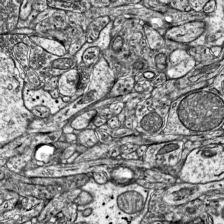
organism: Mouse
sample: Visual Cortex